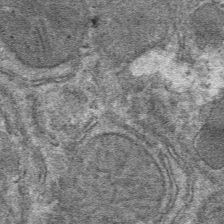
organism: Mouse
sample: Mouse hepatocytes